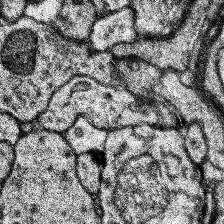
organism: Human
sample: Temporal Lobe